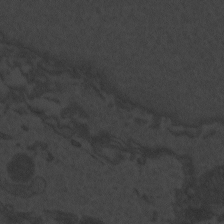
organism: Zebrafish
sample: Macrophage infected with Toxoplasma gondii